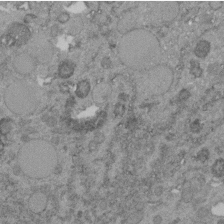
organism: C. elegans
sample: C. elegans embryo early stage